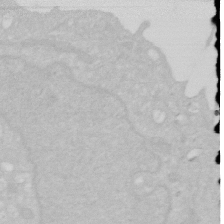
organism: Human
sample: HIV infected U937 cells